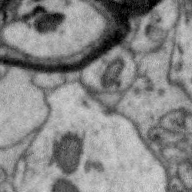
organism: Zebra finch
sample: Brain